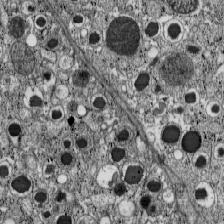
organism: C57BL Mouse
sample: Pancreatic islet